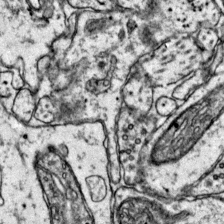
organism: Mouse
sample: Primary visual cortex